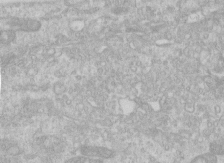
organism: Human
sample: Centriole in RPE cells